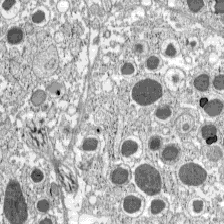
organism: C57BL Mouse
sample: Pancreatic islet